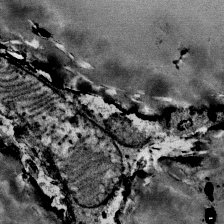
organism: Mouse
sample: Mouse Salivary gland